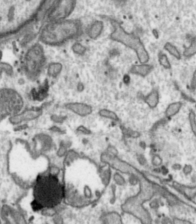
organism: Toxoplasma gondii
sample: Parasites in a vacuole inside a host cell